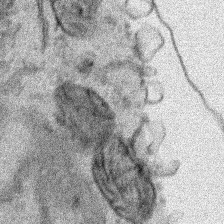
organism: Human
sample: Mitochondria in HCT116 cells